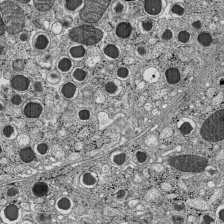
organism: C57BL Mouse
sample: Pancreatic islet